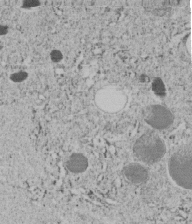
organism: C. elegans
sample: C. elegans embryo early stage